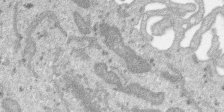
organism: Human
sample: Lung epithelial cells infected with SARS-CoV-2